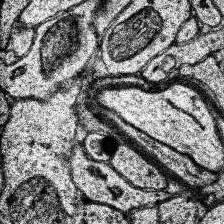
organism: Human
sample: Temporal Lobe